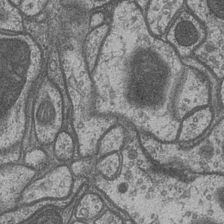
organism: Drosophila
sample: Optic medulla